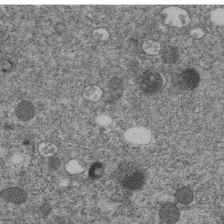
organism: C. elegans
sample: C. elegans embryo early stage